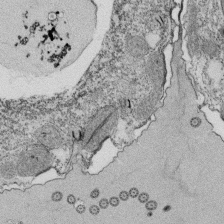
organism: Tetrahymena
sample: Cilia in tetrahymena